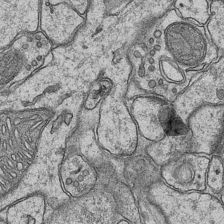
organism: Mouse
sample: CA1 Hippocampus